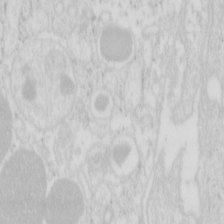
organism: Mouse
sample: Pancreas